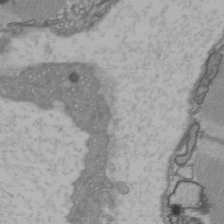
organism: C57BL Mouse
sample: Heart